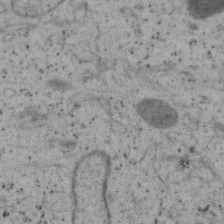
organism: Human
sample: HeLa cells